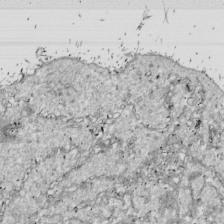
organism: Drosophila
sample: Cell division; meiosis; drosophila spermatocytes